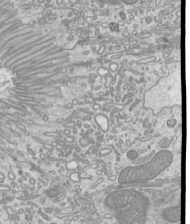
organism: Mouse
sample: Cilia; mouse epididymis